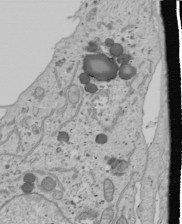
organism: Human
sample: Mitochondria in U2OS cells